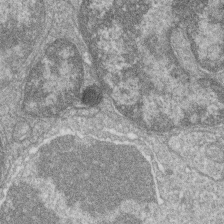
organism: Zebrafish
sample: Cilia; retinal pigment epithelium